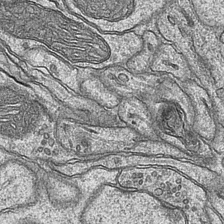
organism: Mouse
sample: CA1 Hippocampus